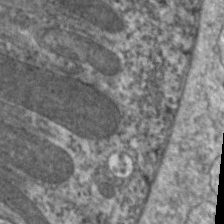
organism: C. elegans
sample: Pharynx